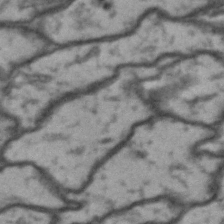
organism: Drosophila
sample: Brain